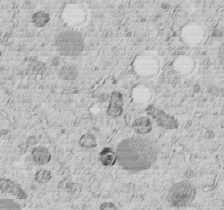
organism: C. elegans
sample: C. elegans embryo early stage